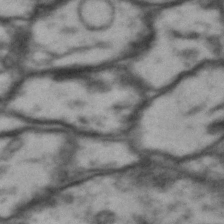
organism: Drosophila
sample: Brain